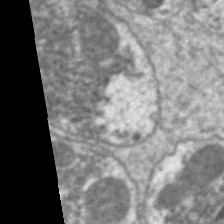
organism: C. elegans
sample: Pharynx